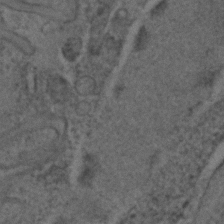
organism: C. elegans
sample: C. elegans embryo